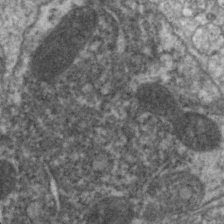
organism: C. elegans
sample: Pharynx